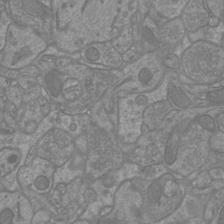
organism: Mouse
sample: Cortical neurons